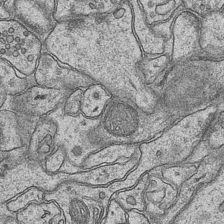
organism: Mouse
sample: CA1 Hippocampus